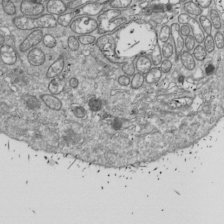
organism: Drosophila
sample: Cell division; meiosis; drosophila spermatocytes